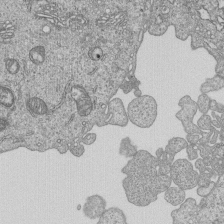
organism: Human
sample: MDA-MB-231 cells